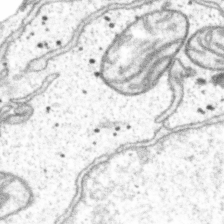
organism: Human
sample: HeLa cells